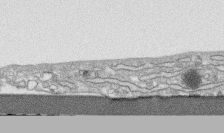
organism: Human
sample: CRL-1474